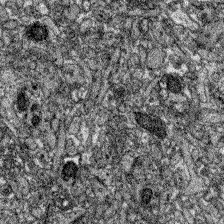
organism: Zebrafish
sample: Larval olfactory bulb